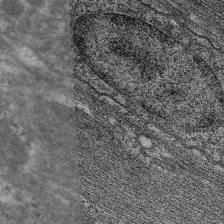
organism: C. elegans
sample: Pharynx